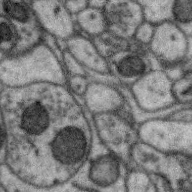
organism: Zebra finch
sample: Brain